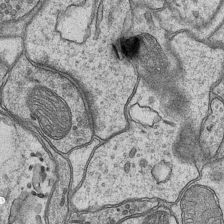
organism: Mouse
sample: CA1 Hippocampus